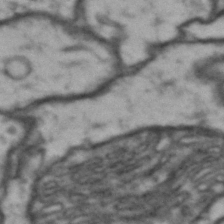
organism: Drosophila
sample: Brain